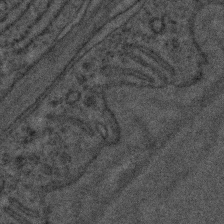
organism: C. elegans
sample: C. elegans embryo